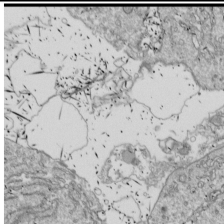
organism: Drosophila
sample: Cell division; meiosis; drosophila spermatocytes